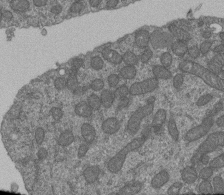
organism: Human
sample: Retinal organoid Rod and Cone cells